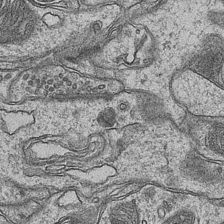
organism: Mouse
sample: CA1 Hippocampus